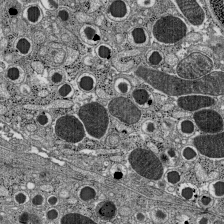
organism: C57BL Mouse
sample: Pancreatic islet